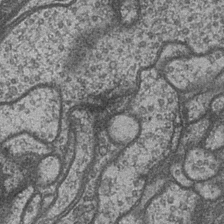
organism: Drosophila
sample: Optic medulla